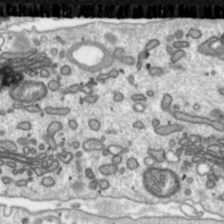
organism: Toxoplasma gondii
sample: Parasites in a vacuole inside a host cell